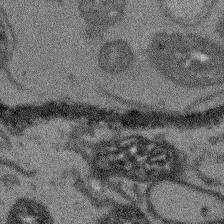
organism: Arabidopsis thaliana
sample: Root tip